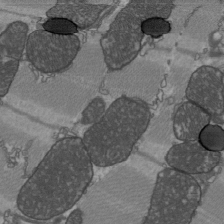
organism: C57BL Mouse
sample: Heart